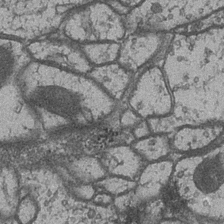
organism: Drosophila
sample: Optic medulla